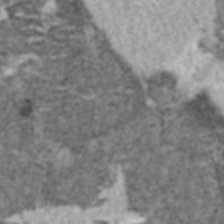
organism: C57BL Mouse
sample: Heart